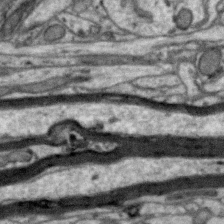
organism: Zebra finch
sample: Brain